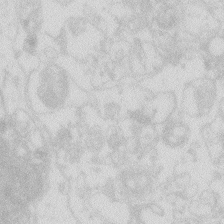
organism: Zebrafish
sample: Macrophage